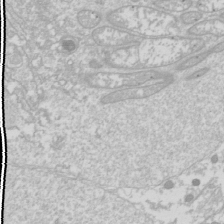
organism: Drosophila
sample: Cell division; meiosis; drosophila spermatocytes